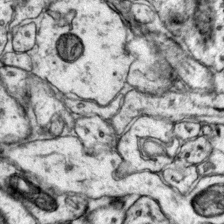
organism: Mouse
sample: Primary visual cortex